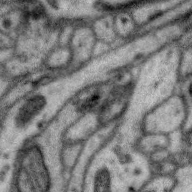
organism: Zebra finch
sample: Brain